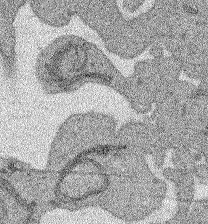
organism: Human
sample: HeLa cells